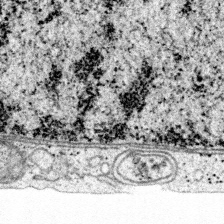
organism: Human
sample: HeLa cells